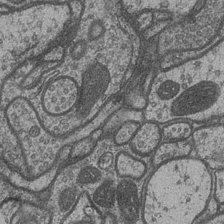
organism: Drosophila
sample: Optic medulla